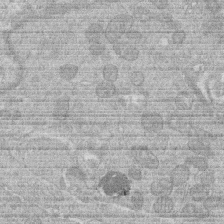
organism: Human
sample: Macrophage cells